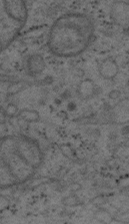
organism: Human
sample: HeLa cells